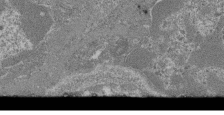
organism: Mouse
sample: Glomerulus